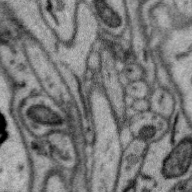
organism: Zebra finch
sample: Brain